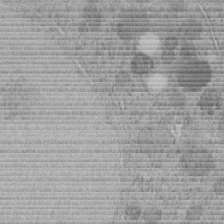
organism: C. elegans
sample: C. elegans embryo early stage